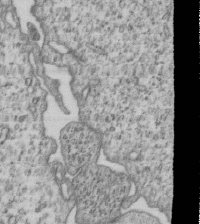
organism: Human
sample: MDA-MB-231 cells